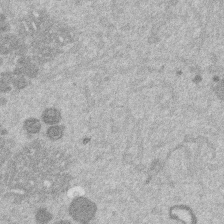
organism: Mouse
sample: Dividing mouse embryo 1 cell stage